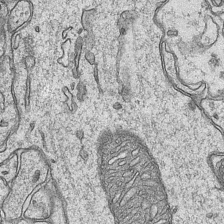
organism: Mouse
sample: CA1 Hippocampus